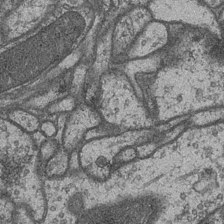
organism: Drosophila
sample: Optic medulla